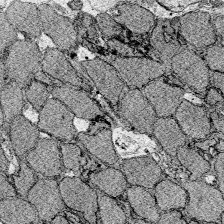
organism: Zebrafish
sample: Whole-Brain